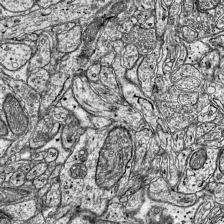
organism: Mouse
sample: Visual Cortex